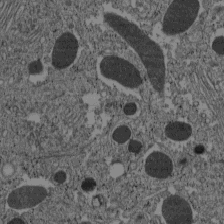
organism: C57BL Mouse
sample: Pancreatic islet